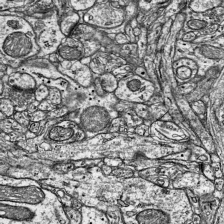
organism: Mouse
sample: Visual Cortex